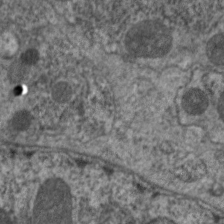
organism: C. elegans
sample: Pharynx